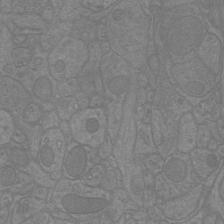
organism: Mouse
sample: Cortical neurons